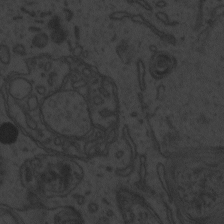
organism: Zebrafish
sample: Macrophage infected with Toxoplasma gondii